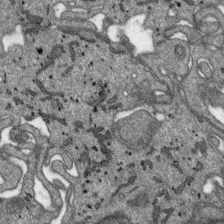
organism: Human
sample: Lung epithelial cells, uninfected (mock) control